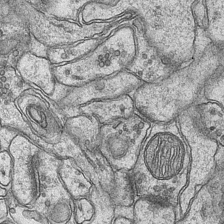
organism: Mouse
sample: CA1 Hippocampus